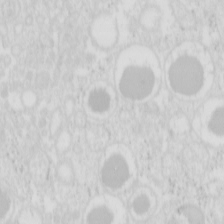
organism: Mouse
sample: Pancreas